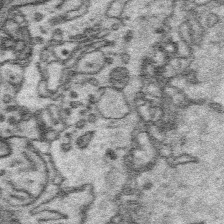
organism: Platynereis dumerilii